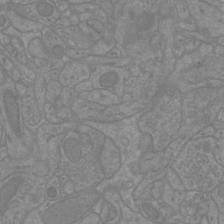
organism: Mouse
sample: Cortical neurons